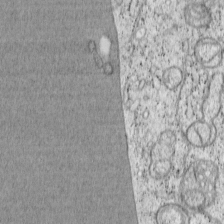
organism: African green monkey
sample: COS-7 cells